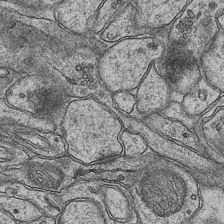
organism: Mouse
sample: CA1 Hippocampus